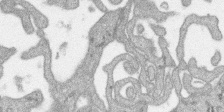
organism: Human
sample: Lung epithelial cells infected with SARS-CoV-2